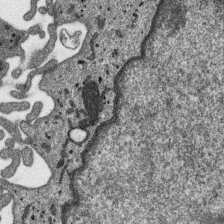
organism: Human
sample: Lung epithelial cells infected with SARS-CoV-2